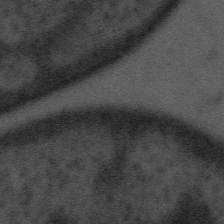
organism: Tuwongella immobilis